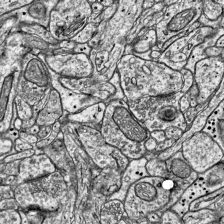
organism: Mouse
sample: Visual Cortex